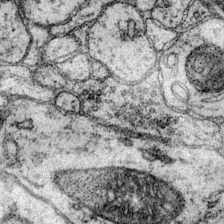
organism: Mouse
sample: Primary visual cortex